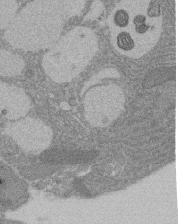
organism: Rat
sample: Salivary granule